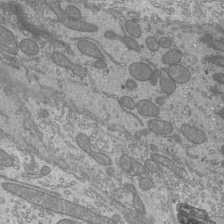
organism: Mouse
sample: Cilia; mouse epididymis